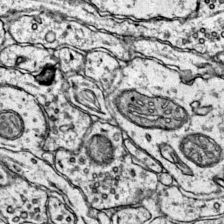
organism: Mouse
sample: Primary visual cortex